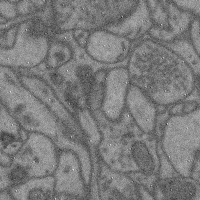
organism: Mouse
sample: Cerebral cortex